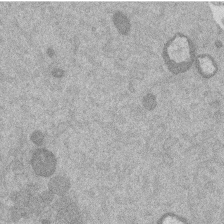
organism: Mouse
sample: Dividing mouse embryo 1 cell stage